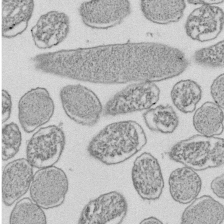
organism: E. coli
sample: Bacterial nucleoid